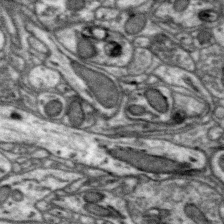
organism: Zebra finch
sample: Brain